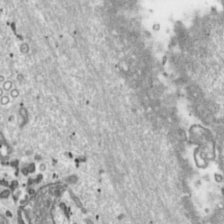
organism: Toxoplasma gondii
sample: Parasites in a vacuole inside a host cell